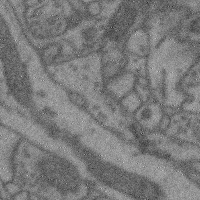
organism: Mouse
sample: Cerebral cortex